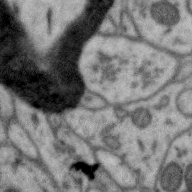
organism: Zebra finch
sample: Brain